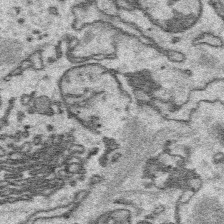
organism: Platynereis dumerilii